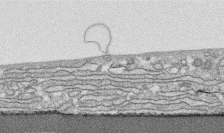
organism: Human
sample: CRL-1474